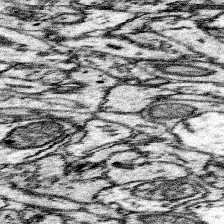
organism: Mouse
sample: Somatosensory cortex neuropil